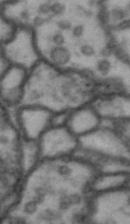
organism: Drosophila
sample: Brain